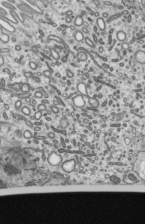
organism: Mouse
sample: Mouse epididymis efferent ductule cilia